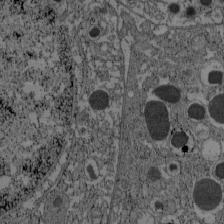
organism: C57BL Mouse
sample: Pancreatic islet